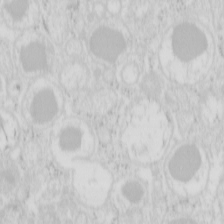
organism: Mouse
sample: Pancreas